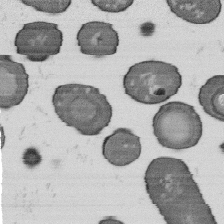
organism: B. subtilis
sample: Bacterial spore